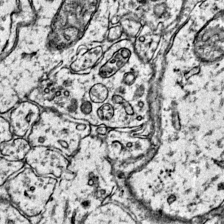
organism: Mouse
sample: Primary visual cortex